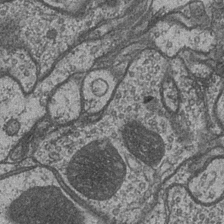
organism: Drosophila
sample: Optic medulla